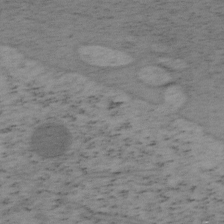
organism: Mouse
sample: OT-I killer T cells with ID8 ovarian cancer cells